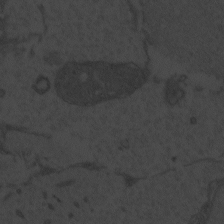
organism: Zebrafish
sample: Macrophage infected with Toxoplasma gondii